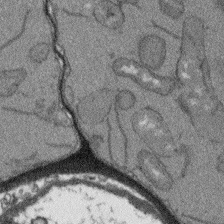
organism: Arabidopsis thaliana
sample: Root tip